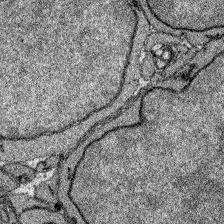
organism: Zebrafish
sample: Larval olfactory bulb